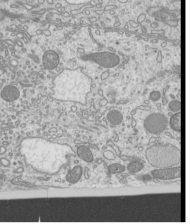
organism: Mouse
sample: Cilia; mouse epididymis